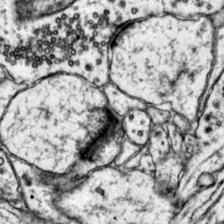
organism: Mouse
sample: Primary visual cortex